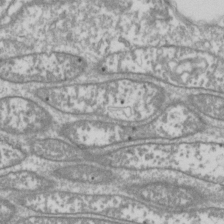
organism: Drosophila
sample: Cell division; meiosis; drosophila spermatocytes